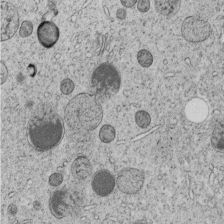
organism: C. elegans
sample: C. elegans embryo early stage